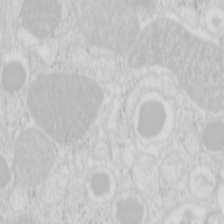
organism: Mouse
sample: Pancreas